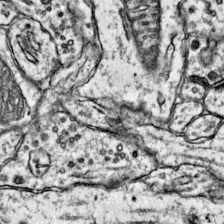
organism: Mouse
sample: Primary visual cortex